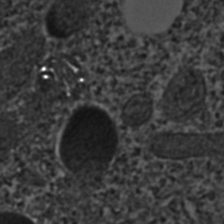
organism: C. elegans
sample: C. elegans embryo